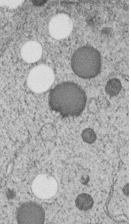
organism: C. elegans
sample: C. elegans embryo early stage